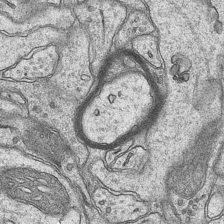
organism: Mouse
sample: CA1 Hippocampus